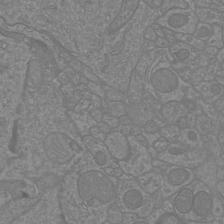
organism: Mouse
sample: Cortical neurons